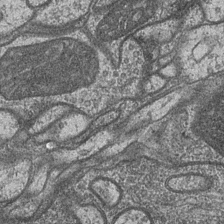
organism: Drosophila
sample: Optic medulla